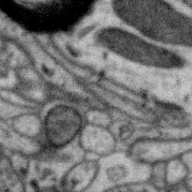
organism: Zebra finch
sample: Brain